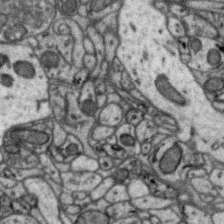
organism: Zebra finch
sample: Brain